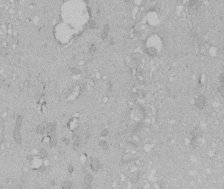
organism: Human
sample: Melanocyte Keratinocyte synapse skin construct